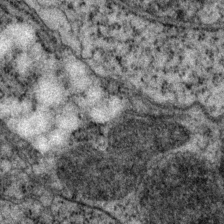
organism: P. pacificus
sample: Pharynx